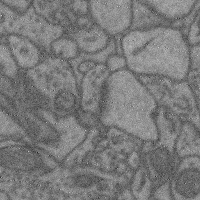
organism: Mouse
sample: Cerebral cortex